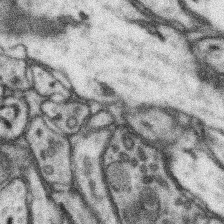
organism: Mouse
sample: Somatosensory cortex neuropil